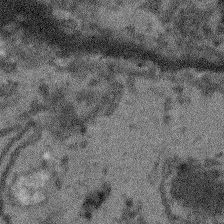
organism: Arabidopsis thaliana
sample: Root tip